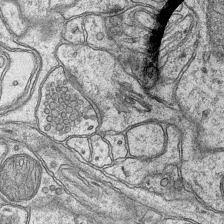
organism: Mouse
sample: CA1 Hippocampus